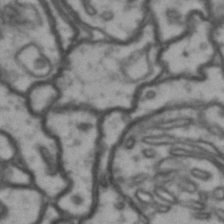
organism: Drosophila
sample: Brain